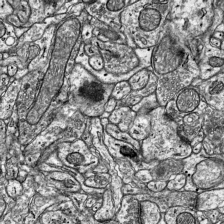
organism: Mouse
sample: Visual Cortex